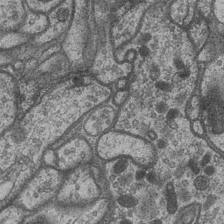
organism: Drosophila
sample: Optic medulla